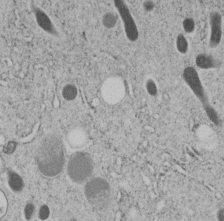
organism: C. elegans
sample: C. elegans embryo early stage